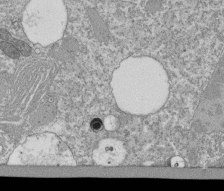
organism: Tetrahymena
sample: Cilia in tetrahymena